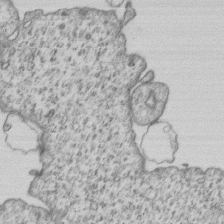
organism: Human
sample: MDA-MB-231 cells